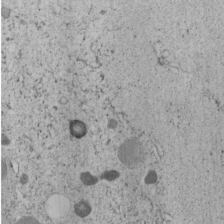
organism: C. elegans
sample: C. elegans embryo early stage